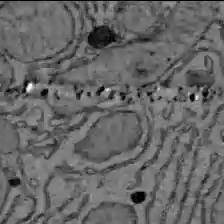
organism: C57BL Mouse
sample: Liver